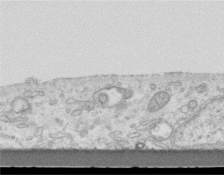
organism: Mouse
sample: Centriole in ependymal cells